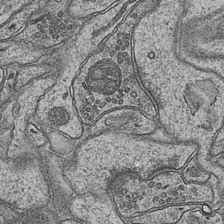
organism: Mouse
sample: CA1 Hippocampus